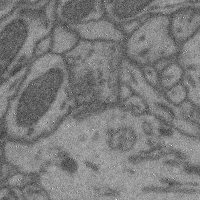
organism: Mouse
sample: Cerebral cortex